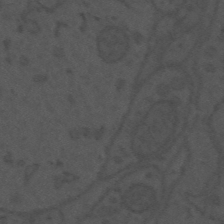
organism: Mouse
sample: Suprachiasmatic nucleus